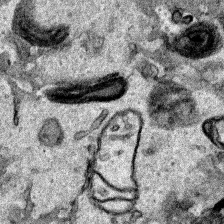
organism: Human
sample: Mitochondria in HCT116 cells